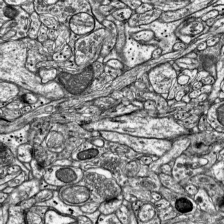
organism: Mouse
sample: Visual Cortex